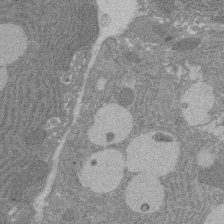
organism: Rat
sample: Salivary granule